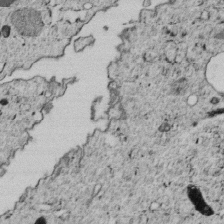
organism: C. elegans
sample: C. elegans embryo early stage